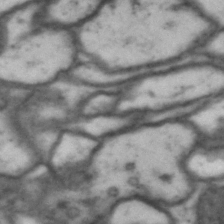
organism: Drosophila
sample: Brain